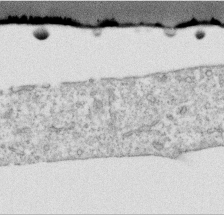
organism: Human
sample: Centriole in RPE cells